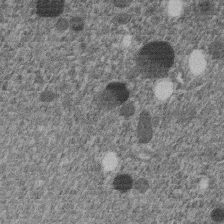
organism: C. elegans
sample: C. elegans embryo early stage